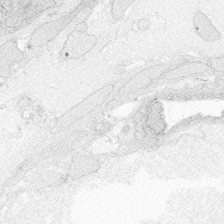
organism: Zebrafish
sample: Whole-Brain